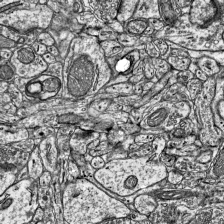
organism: Mouse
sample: Visual Cortex